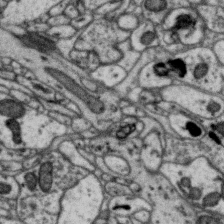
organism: Zebra finch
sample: Brain